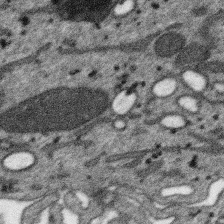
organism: Human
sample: Lung epithelial cells infected with SARS-CoV-2